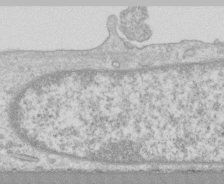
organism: Human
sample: CRL-1474